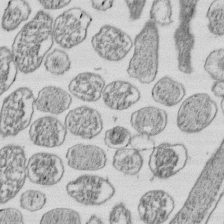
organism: E. coli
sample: Bacterial nucleoid